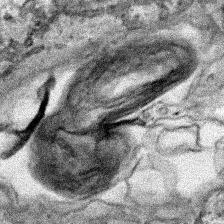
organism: Human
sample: Mitochondria in HCT116 cells